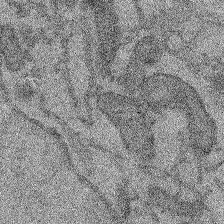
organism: Human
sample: HeLa cells